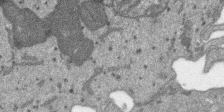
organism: Human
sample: Lung epithelial cells infected with SARS-CoV-2